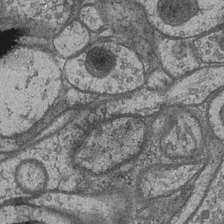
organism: Drosophila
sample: Optic medulla